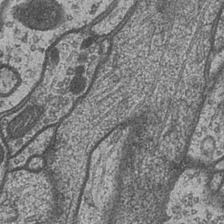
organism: Drosophila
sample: Optic medulla